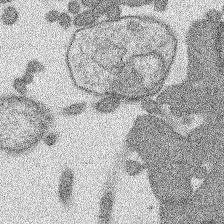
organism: Human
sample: HeLa cells